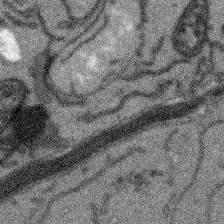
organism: Arabidopsis thaliana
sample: Root tip